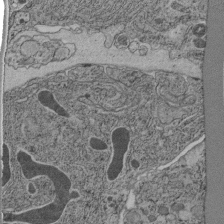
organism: C. elegans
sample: C. elegans pharynx